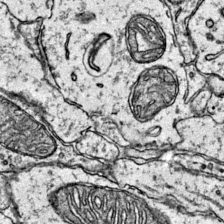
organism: Mouse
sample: Primary visual cortex